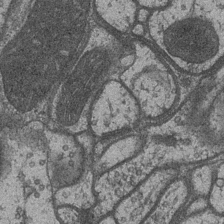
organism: Drosophila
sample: Optic medulla